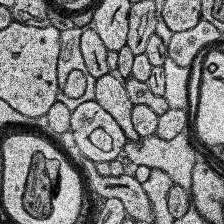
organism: Human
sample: Temporal Lobe